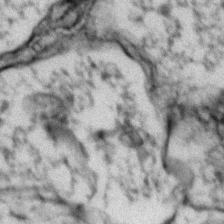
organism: Zebrafish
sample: Zebrafish embryo